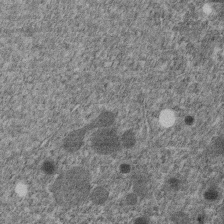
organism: C. elegans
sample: C. elegans embryo early stage